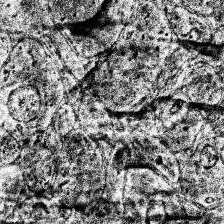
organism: Human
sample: Temporal Lobe